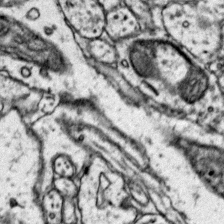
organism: Mouse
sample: Primary visual cortex